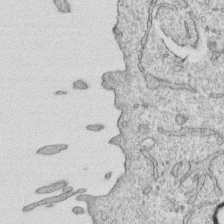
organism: Human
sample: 1205lu cells